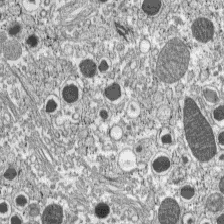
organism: C57BL Mouse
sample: Pancreatic islet